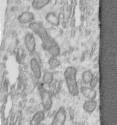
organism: Human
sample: Centriole in RPE cells